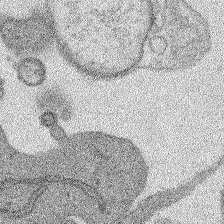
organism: Human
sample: HeLa cells